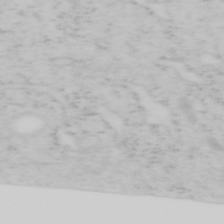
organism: Mouse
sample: OT-I killer T cells with ID8 ovarian cancer cells